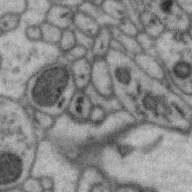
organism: Zebra finch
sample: Brain